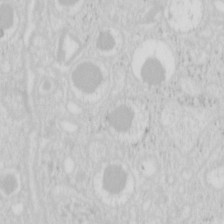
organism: Mouse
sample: Pancreas